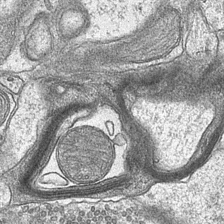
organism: Mouse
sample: CA1 Hippocampus